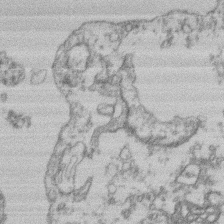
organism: Mouse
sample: T cell stromal cell synapse